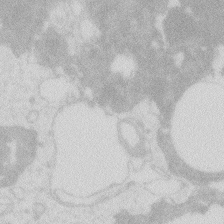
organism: Zebrafish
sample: Macrophage